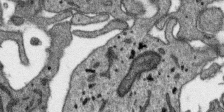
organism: Human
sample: Lung epithelial cells, uninfected (mock) control